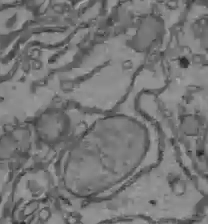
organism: C57BL Mouse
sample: Liver